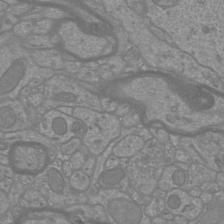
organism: Mouse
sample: Cortical neurons